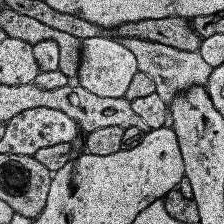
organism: Human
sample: Temporal Lobe